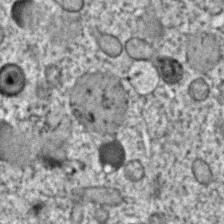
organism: C. elegans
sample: C. elegans embryo